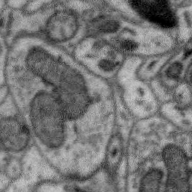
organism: Zebra finch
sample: Brain